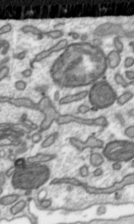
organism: Toxoplasma gondii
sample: Parasites in a vacuole inside a host cell